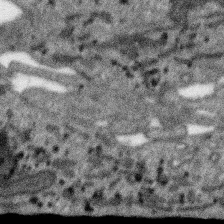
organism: Human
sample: Lung epithelial cells infected with SARS-CoV-2